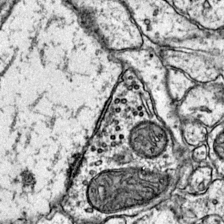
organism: Mouse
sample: Primary visual cortex